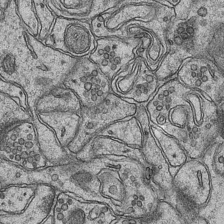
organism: Mouse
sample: CA1 Hippocampus